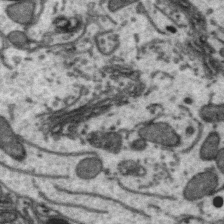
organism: Zebra finch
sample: Brain